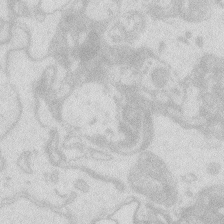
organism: Zebrafish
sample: Macrophage